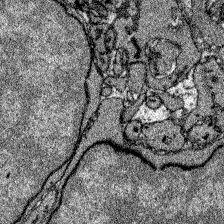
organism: Zebrafish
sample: Larval olfactory bulb